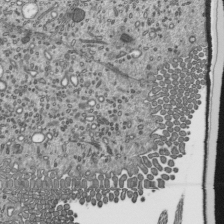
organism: Mouse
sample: Mouse epididymis efferent ductule cilia